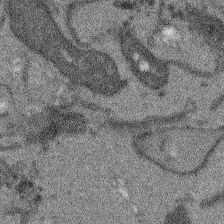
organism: Arabidopsis thaliana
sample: Root tip